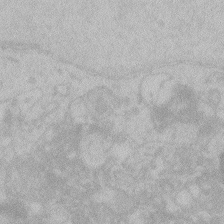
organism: Zebrafish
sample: Macrophage infected with Toxoplasma gondii